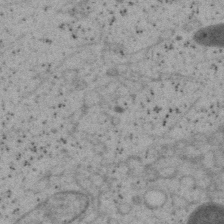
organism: Human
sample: HeLa cells